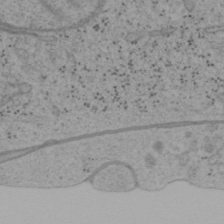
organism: Human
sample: HeLa cells